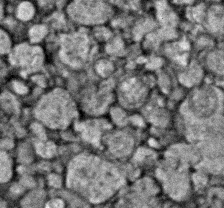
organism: Zebrafish